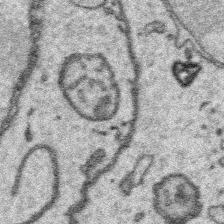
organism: Platynereis dumerilii